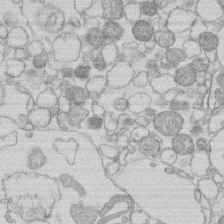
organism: Human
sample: Macrophage cells